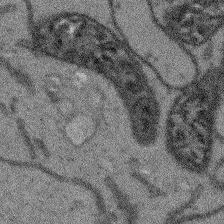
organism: Arabidopsis thaliana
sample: Root tip